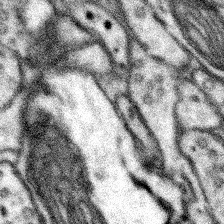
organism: Mouse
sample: Somatosensory cortex neuropil